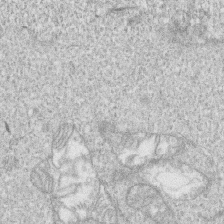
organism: Human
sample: HeLa cell HIV synapse